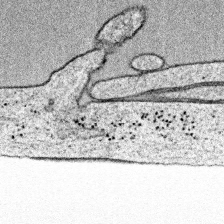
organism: Human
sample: HeLa cells